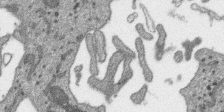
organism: Human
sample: Lung epithelial cells infected with SARS-CoV-2